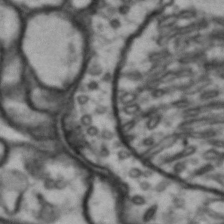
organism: Drosophila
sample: Brain